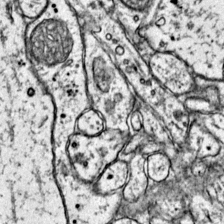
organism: Mouse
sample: Primary visual cortex